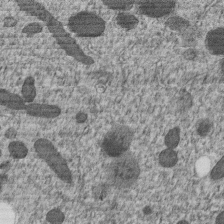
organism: C. elegans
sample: C. elegans embryo early stage